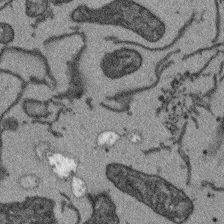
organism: Arabidopsis thaliana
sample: Root tip